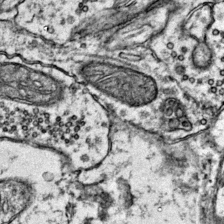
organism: Mouse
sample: Primary visual cortex